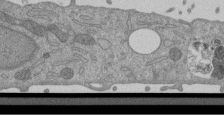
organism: Mouse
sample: ED-1 cell nuclei; centrioles